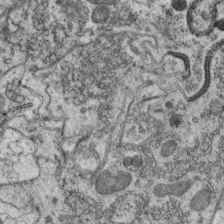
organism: C. elegans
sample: C. elegans oocyte; sperm cells